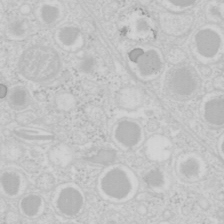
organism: Mouse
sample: Pancreas